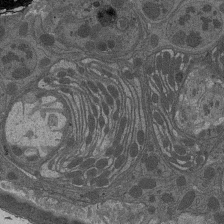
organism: Drosophila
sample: Antenna